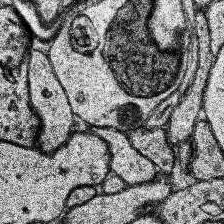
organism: Human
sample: Temporal Lobe